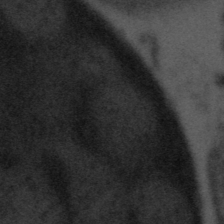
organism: Tuwongella immobilis